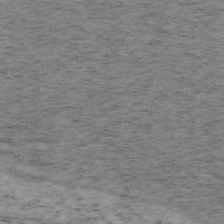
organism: Mouse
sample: OT-I killer T cells with ID8 ovarian cancer cells